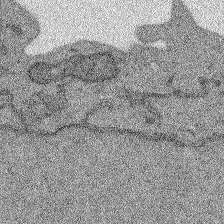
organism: Human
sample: HeLa cells